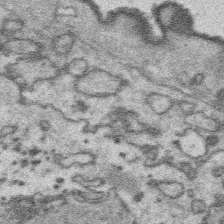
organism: Platynereis dumerilii